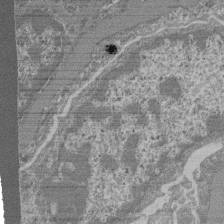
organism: Mouse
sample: Glomerulus